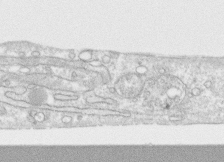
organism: Human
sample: CRL-1474